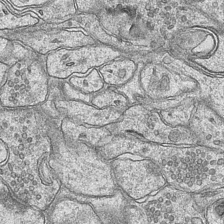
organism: Mouse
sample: CA1 Hippocampus